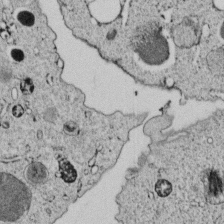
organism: C. elegans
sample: C. elegans embryo early stage